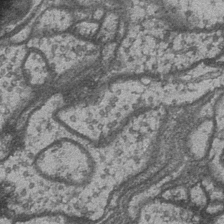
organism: Drosophila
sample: Optic medulla